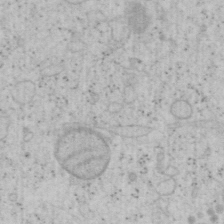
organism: Human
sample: HeLa cells